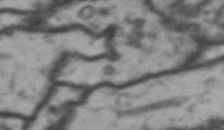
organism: Drosophila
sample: Brain